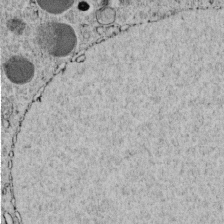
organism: C. elegans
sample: C. elegans embryo early stage